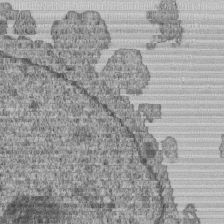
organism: Human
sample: MDA-MB-231 cells